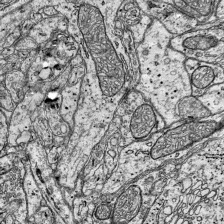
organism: Mouse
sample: Visual Cortex